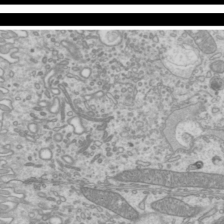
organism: Mouse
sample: Cilia; mouse epididymis